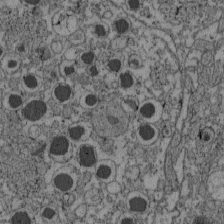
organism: C57BL Mouse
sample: Pancreatic islet